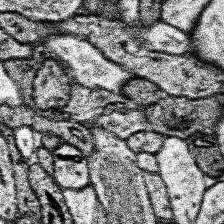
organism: Human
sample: Temporal Lobe